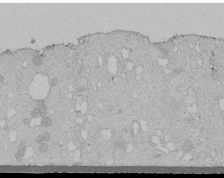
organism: Human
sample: Melanocyte Keratinocyte synapse skin construct